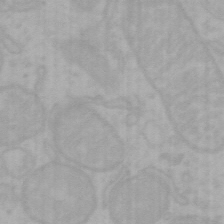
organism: Mouse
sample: Choroid plexus